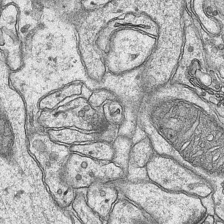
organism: Mouse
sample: CA1 Hippocampus